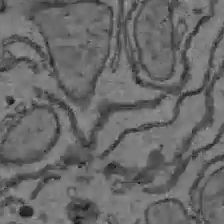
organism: C57BL Mouse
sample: Liver